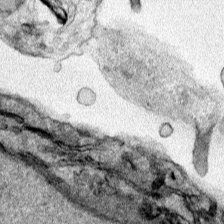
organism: Human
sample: Mitochondria in HCT116 cells